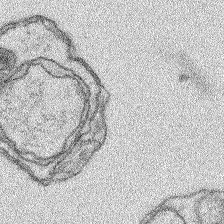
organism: Human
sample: HeLa cells